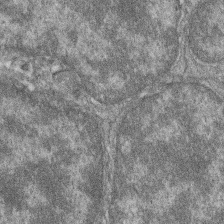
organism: Zebrafish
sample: Cilia; retinal pigment epithelium